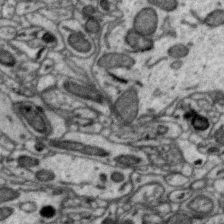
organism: Zebra finch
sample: Brain